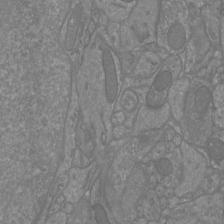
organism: Mouse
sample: Cortical neurons